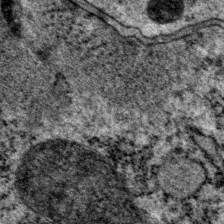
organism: P. pacificus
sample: Pharynx